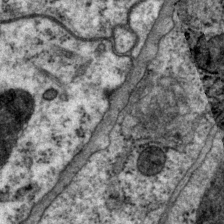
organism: P. pacificus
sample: Pharynx